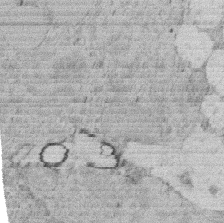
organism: Rat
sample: Salivary granule